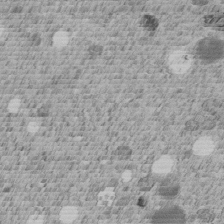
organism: C. elegans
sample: C. elegans embryo early stage